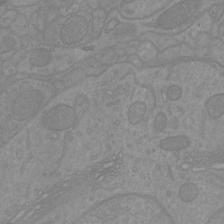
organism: Mouse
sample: Cortical neurons